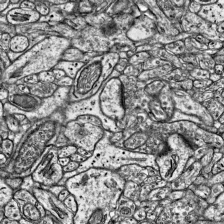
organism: Mouse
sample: Visual Cortex